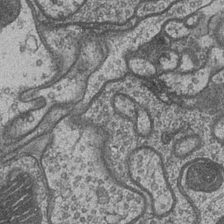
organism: Drosophila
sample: Optic medulla